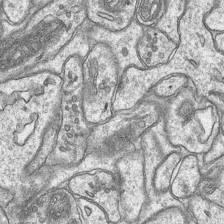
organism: Mouse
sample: CA1 Hippocampus